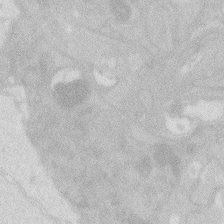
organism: Zebrafish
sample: Macrophage